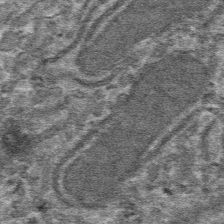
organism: Mouse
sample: Mouse hepatocytes